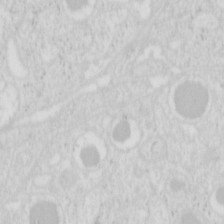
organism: Mouse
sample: Pancreas